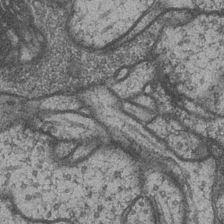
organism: Drosophila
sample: Optic medulla